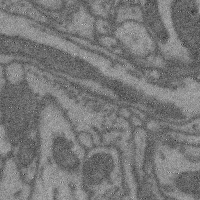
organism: Mouse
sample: Cerebral cortex